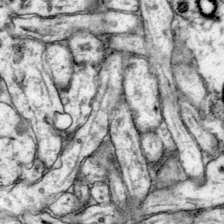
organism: Mouse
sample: Primary visual cortex